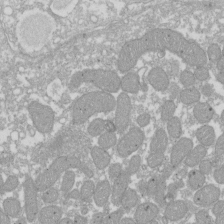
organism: Xenopus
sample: Cilia; centrioles in frog embryo cells